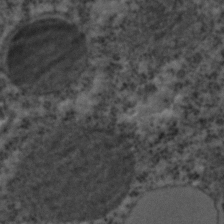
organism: C. elegans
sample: C. elegans embryo